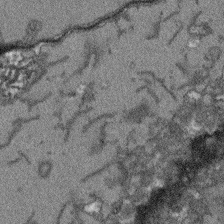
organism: Arabidopsis thaliana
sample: Root tip